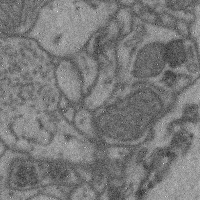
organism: Mouse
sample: Cerebral cortex